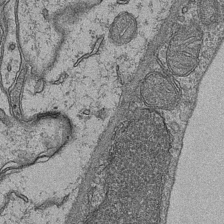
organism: Mouse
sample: CA1 Hippocampus